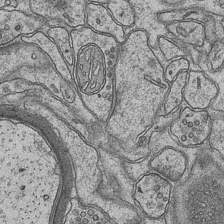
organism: Mouse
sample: CA1 Hippocampus